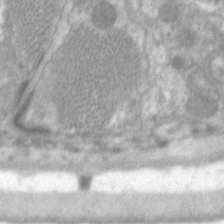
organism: C. elegans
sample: Pharynx